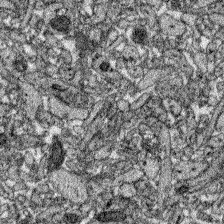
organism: Zebrafish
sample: Larval olfactory bulb